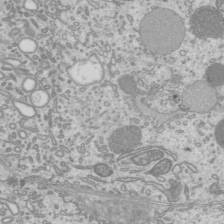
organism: Mouse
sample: Cilia; mouse epididymis